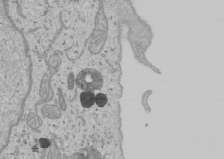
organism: Human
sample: Mitochondria in U2OS cells